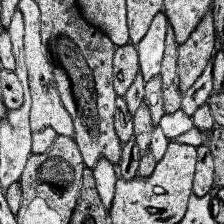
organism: Human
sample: Temporal Lobe